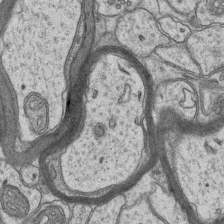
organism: Mouse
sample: CA1 Hippocampus